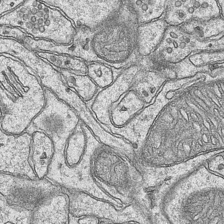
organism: Mouse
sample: CA1 Hippocampus